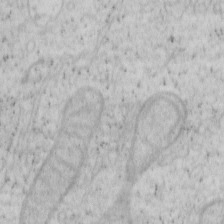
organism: Human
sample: HeLa cells